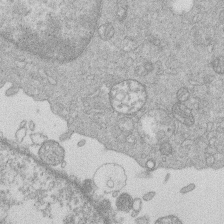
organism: Human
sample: Macrophage cells